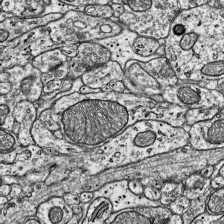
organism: Mouse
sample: Visual Cortex